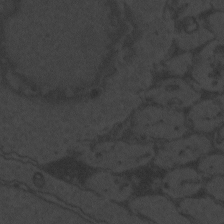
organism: Zebrafish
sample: Macrophage infected with Toxoplasma gondii